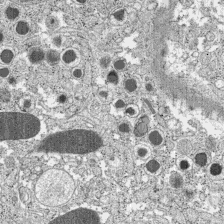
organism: C57BL Mouse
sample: Pancreatic islet